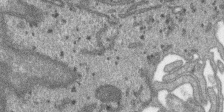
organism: Human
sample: Lung epithelial cells infected with SARS-CoV-2